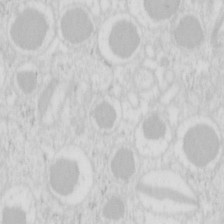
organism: Mouse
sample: Pancreas